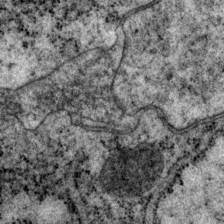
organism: P. pacificus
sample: Pharynx